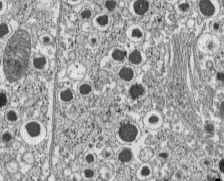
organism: C57BL Mouse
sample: Pancreatic islet